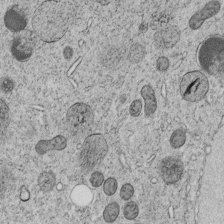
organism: C. elegans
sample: C. elegans embryo early stage